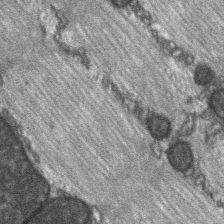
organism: C57BL Mouse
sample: Soleus